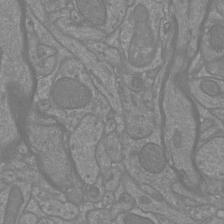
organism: Mouse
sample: Cortical neurons